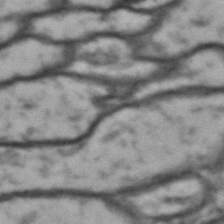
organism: Drosophila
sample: Brain